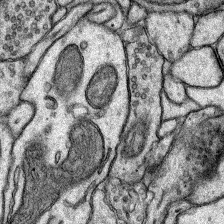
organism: Rat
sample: Hippocampus